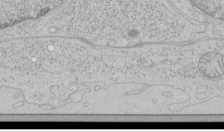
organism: Human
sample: Mitochondria in HCT116 cells